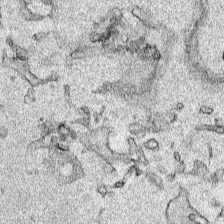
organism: Human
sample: Mitochondria in HCT116 cells